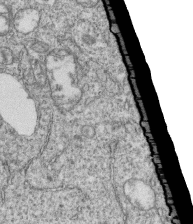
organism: Human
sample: HeLa cell HIV synapse